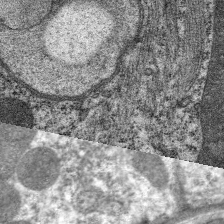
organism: C. elegans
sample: Pharynx